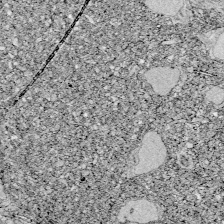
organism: Zebrafish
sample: Whole-Brain